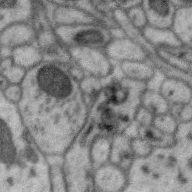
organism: Zebra finch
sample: Brain